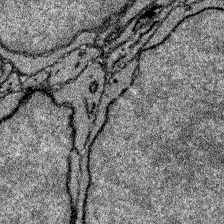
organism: Zebrafish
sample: Larval olfactory bulb